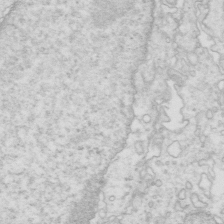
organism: Mouse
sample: Multiciliated cells